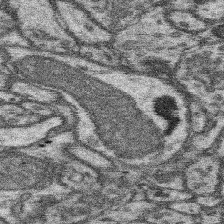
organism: Mouse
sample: Somatosensory cortex neuropil